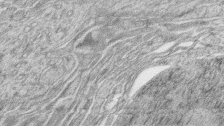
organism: Zebrafish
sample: synaptic ribbons in rod cells and cone cells